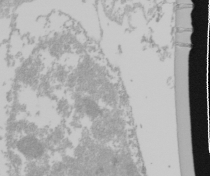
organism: Mouse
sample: Cancer cell death in ED-1 cells